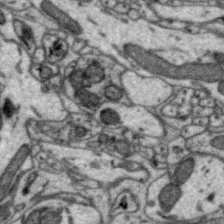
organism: Zebra finch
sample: Brain